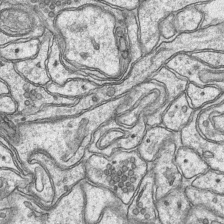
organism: Mouse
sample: CA1 Hippocampus